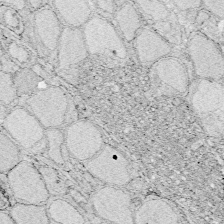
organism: Zebrafish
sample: Whole-Brain